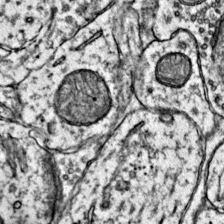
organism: Mouse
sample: Primary visual cortex